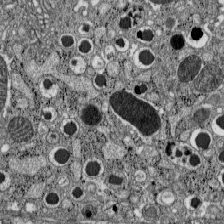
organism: C57BL Mouse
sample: Pancreatic islet